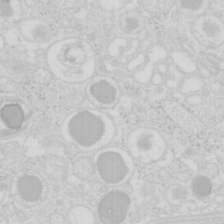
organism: Mouse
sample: Pancreas